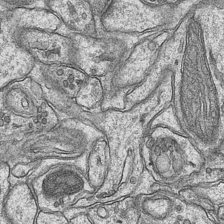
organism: Mouse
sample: CA1 Hippocampus